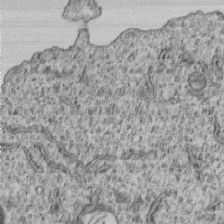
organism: Human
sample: MDA-MB-231 cells